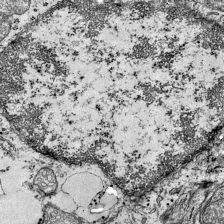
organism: Mouse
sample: Visual Cortex